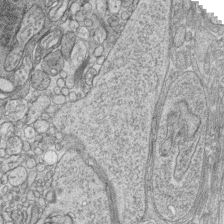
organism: Zebrafish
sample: synaptic ribbons in rod cells and cone cells